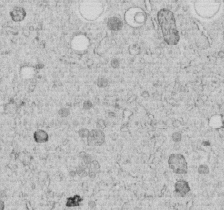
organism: C. elegans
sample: C. elegans embryo early stage